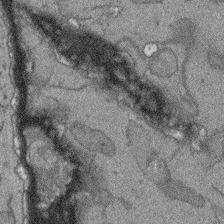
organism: Arabidopsis thaliana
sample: Root tip